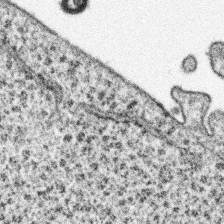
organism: Human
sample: HeLa cells